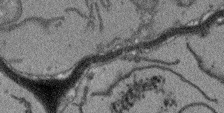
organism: Arabidopsis thaliana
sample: Root tip